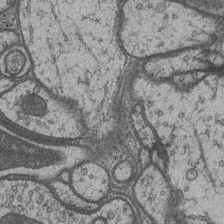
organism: Drosophila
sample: Optic medulla